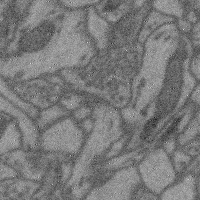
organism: Mouse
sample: Cerebral cortex